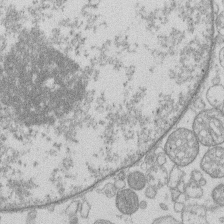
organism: Human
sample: Macrophage cells